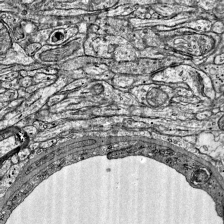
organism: Mouse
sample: Visual Cortex